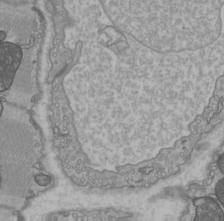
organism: C57BL Mouse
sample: Heart